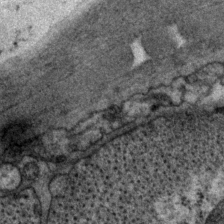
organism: P. pacificus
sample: Pharynx